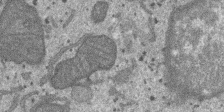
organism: Human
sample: Lung epithelial cells infected with SARS-CoV-2